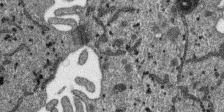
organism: Human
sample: Lung epithelial cells infected with SARS-CoV-2